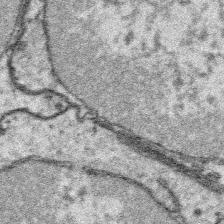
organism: Platynereis dumerilii